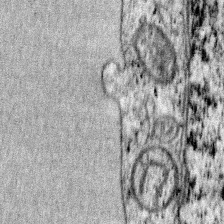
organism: Human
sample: HeLa cells